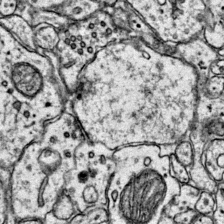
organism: Mouse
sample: Primary visual cortex